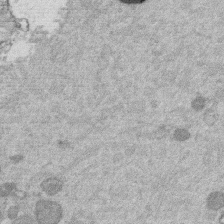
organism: Mouse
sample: Dividing mouse embryo 1 cell stage